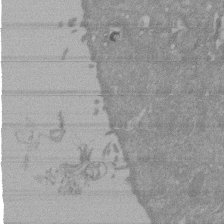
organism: Mouse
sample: ED-1 cell nuclei; centrioles